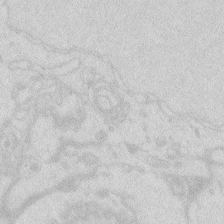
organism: Zebrafish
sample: Macrophage